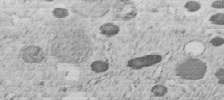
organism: C. elegans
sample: C. elegans embryo early stage